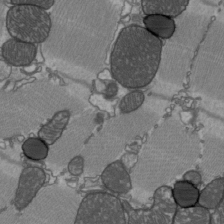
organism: C57BL Mouse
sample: Heart